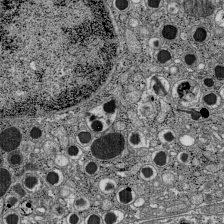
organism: C57BL Mouse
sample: Pancreatic islet